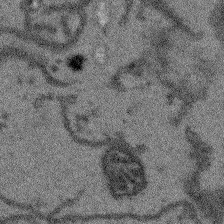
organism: Arabidopsis thaliana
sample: Root tip